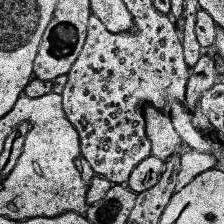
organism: Human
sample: Temporal Lobe